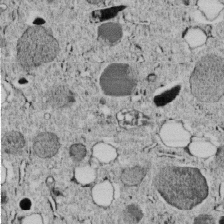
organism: C. elegans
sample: C. elegans embryo early stage